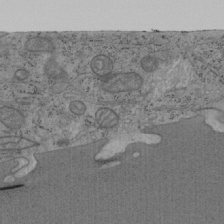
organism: Human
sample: HeLa cells